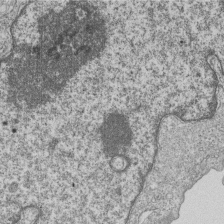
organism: Human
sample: MDA-MB-231 cells